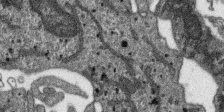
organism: Human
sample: Lung epithelial cells infected with SARS-CoV-2